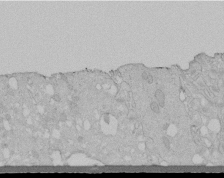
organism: Human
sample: Melanocyte Keratinocyte synapse skin construct